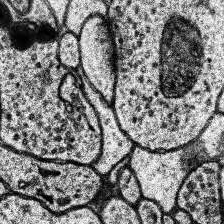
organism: Human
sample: Temporal Lobe